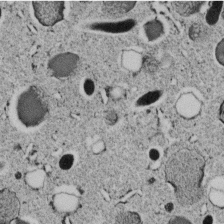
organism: C. elegans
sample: C. elegans embryo early stage